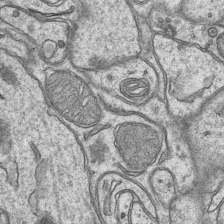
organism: Mouse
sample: CA1 Hippocampus